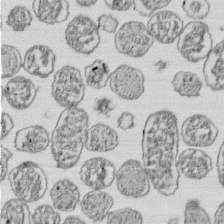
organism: E. coli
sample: Bacterial nucleoid